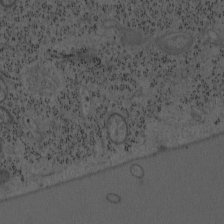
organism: Mouse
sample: OT-I killer T cells with ID8 ovarian cancer cells